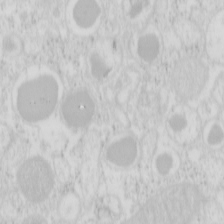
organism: Mouse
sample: Pancreas